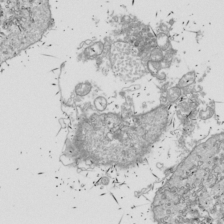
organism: Drosophila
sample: Cell division; meiosis; drosophila spermatocytes